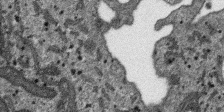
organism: Human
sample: Lung epithelial cells infected with SARS-CoV-2